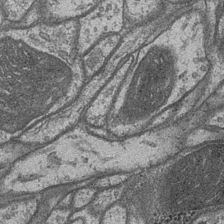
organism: Drosophila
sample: Optic medulla